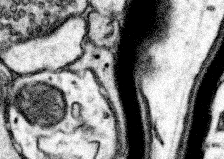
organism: Mouse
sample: Somatosensory cortex neuropil